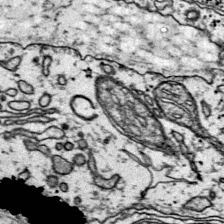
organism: Mouse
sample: Primary visual cortex